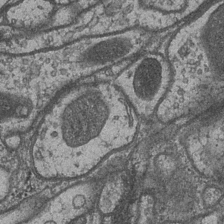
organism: Drosophila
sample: Optic medulla